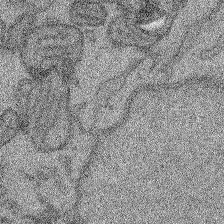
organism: Human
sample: HeLa cells